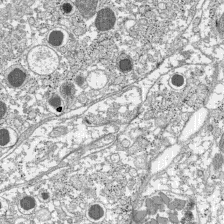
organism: C57BL Mouse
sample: Pancreatic islet